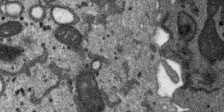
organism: Human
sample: Lung epithelial cells infected with SARS-CoV-2